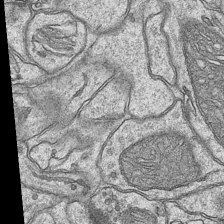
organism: Mouse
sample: CA1 Hippocampus